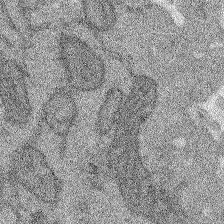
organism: Human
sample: HeLa cells